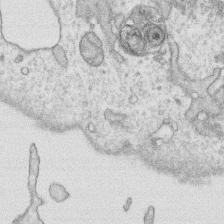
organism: Human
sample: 1205lu cells